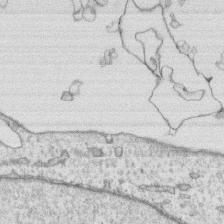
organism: Human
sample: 1205lu cells